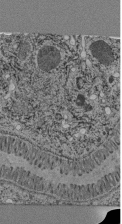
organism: C. elegans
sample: C. elegans pharynx